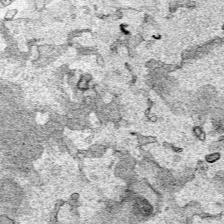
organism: Human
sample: Mitochondria in HCT116 cells